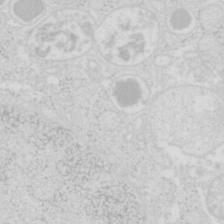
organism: Mouse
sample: Pancreas